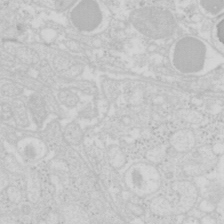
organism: Mouse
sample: Pancreas